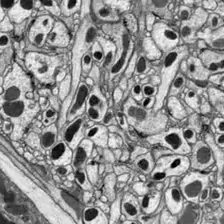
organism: Drosophila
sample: Optic lobe